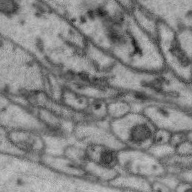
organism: Zebra finch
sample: Brain